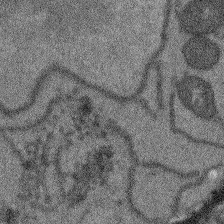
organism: Arabidopsis thaliana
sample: Root tip